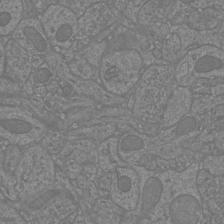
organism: Mouse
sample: Cortical neurons